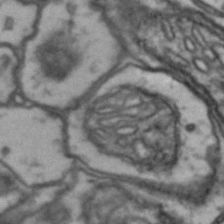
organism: Drosophila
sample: Brain